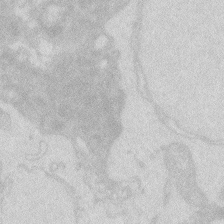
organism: Zebrafish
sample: Macrophage